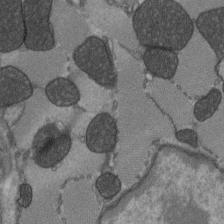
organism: C57BL Mouse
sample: Heart